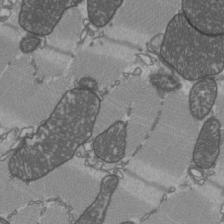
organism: C57BL Mouse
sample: Heart